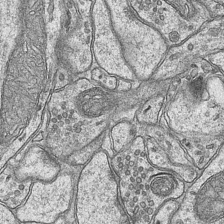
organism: Mouse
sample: CA1 Hippocampus